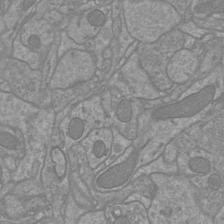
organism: Mouse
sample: Cortical neurons